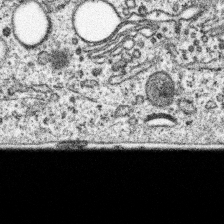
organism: Human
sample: HeLa cells